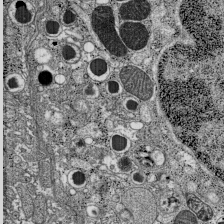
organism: C57BL Mouse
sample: Pancreatic islet